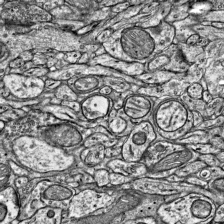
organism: Mouse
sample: Visual Cortex